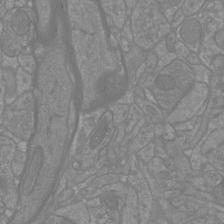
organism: Mouse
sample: Cortical neurons